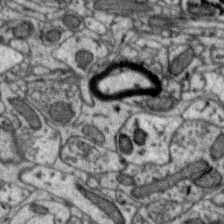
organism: Zebra finch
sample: Brain